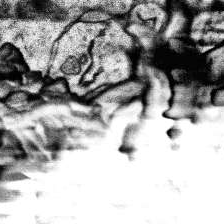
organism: Human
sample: Temporal Lobe